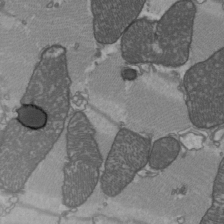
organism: C57BL Mouse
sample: Heart